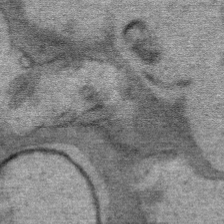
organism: Mouse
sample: Mouse Salivary gland